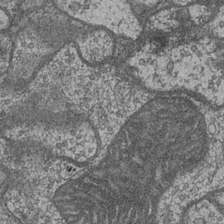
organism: Drosophila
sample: Optic medulla